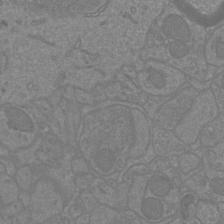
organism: Mouse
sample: Cortical neurons